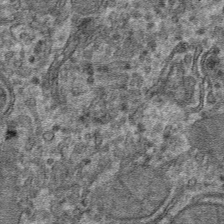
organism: Mouse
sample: Mouse hepatocytes